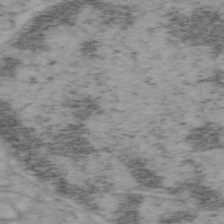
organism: Mouse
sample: OT-I killer T cells with ID8 ovarian cancer cells